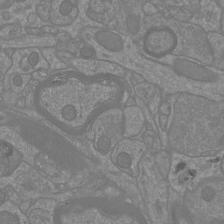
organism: Mouse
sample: Cortical neurons